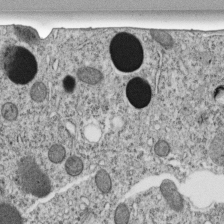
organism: C. elegans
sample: C. elegans embryo early stage